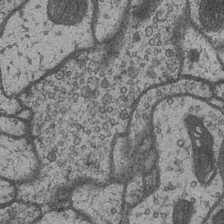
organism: Drosophila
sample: Optic medulla